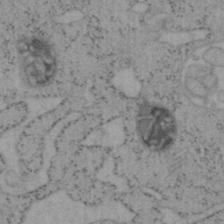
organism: Mouse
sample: OT-I killer T cells with ID8 ovarian cancer cells